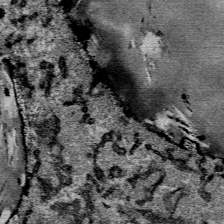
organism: Mouse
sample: Mouse Salivary gland